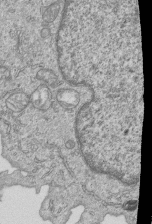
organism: Human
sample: MDA-MB-231 cells